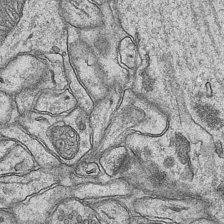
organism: Mouse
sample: CA1 Hippocampus